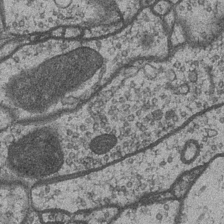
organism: Drosophila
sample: Optic medulla